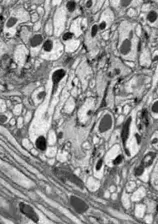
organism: Drosophila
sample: Optic lobe